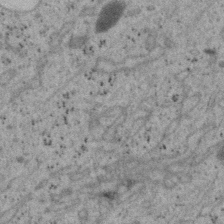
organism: Human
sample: HeLa cells